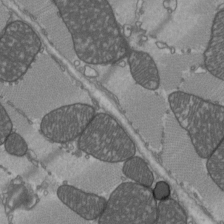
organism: C57BL Mouse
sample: Heart